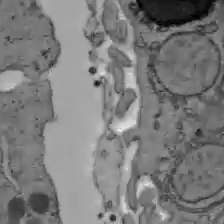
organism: C57BL Mouse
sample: Liver